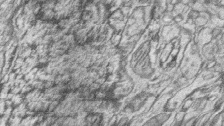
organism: Zebrafish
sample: synaptic ribbons in rod cells and cone cells